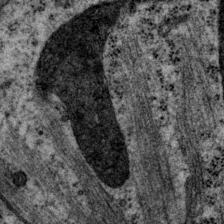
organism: P. pacificus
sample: Pharynx